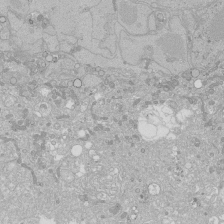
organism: Human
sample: Caco-2 cells